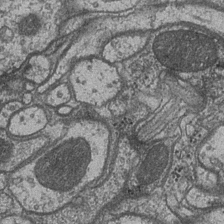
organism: Drosophila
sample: Optic medulla